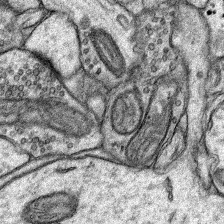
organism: Rat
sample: Hippocampus